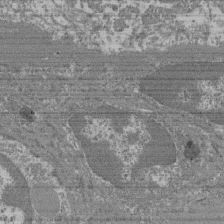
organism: Mouse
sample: Glomerulus